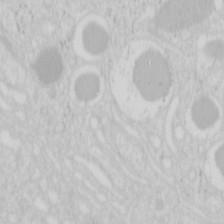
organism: Mouse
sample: Pancreas